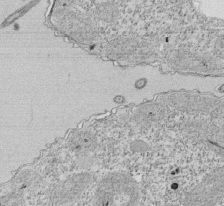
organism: Tetrahymena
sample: Cilia in tetrahymena